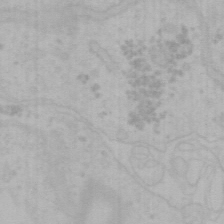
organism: Mouse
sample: Choroid plexus